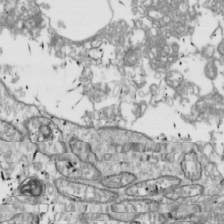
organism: Drosophila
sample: Cell division; meiosis; drosophila spermatocytes